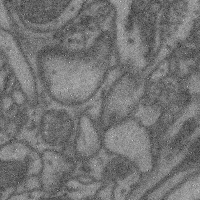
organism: Mouse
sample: Cerebral cortex